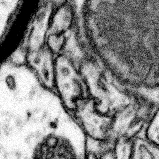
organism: Mouse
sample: Somatosensory cortex neuropil